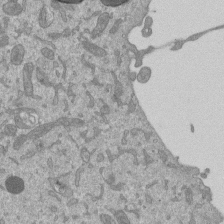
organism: Mouse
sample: ED-1 cell nuclei; centrioles